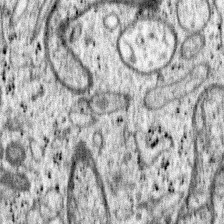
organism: Human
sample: HeLa cells